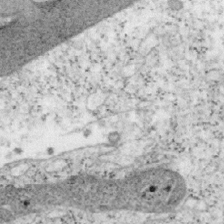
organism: Mouse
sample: OT-I killer T cells with ID8 ovarian cancer cells